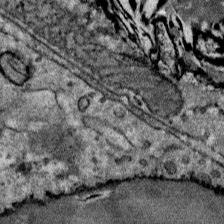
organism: Mouse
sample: Mouse Salivary gland